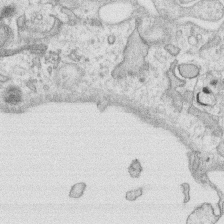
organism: Human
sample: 1205lu cells